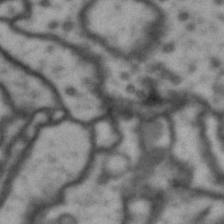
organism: Drosophila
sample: Brain